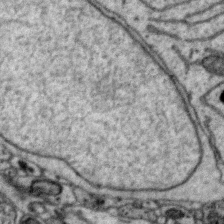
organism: Zebra finch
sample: Brain